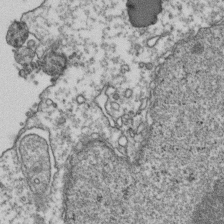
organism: Human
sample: Activated Jurkat CD4+ T cells